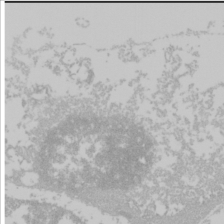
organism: Mouse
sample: Cancer cell death in ED-1 cells